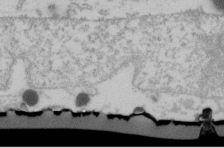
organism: Human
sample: U2-OS cells